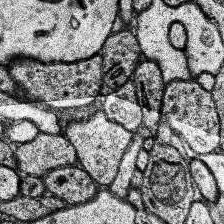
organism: Human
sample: Temporal Lobe